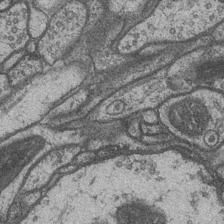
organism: Drosophila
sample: Optic medulla